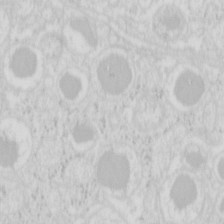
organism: Mouse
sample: Pancreas